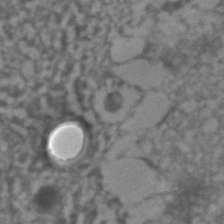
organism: C. elegans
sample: C. elegans embryo